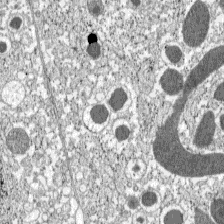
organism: C57BL Mouse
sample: Pancreatic islet